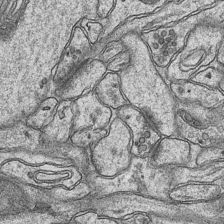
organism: Mouse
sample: CA1 Hippocampus